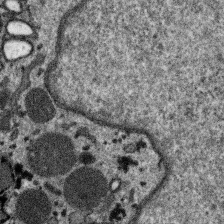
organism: Human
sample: Lung epithelial cells infected with SARS-CoV-2